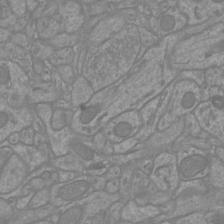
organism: Mouse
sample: Cortical neurons